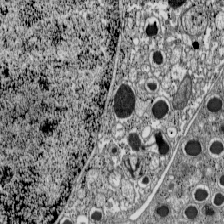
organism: C57BL Mouse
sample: Pancreatic islet